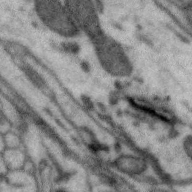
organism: Zebra finch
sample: Brain